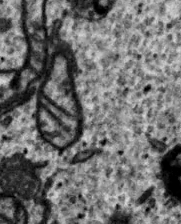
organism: Human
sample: HeLa cells